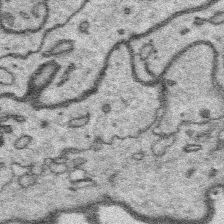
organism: Platynereis dumerilii